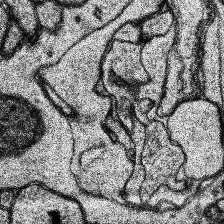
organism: Human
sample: Temporal Lobe